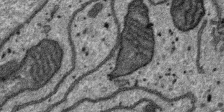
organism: Human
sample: Lung epithelial cells, uninfected (mock) control